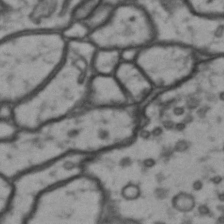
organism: Drosophila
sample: Brain